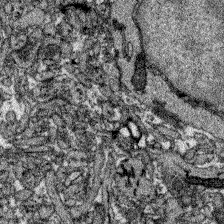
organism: Zebrafish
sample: Larval olfactory bulb